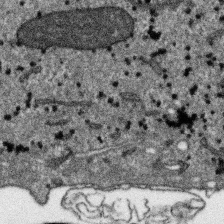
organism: Human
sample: Lung epithelial cells infected with SARS-CoV-2